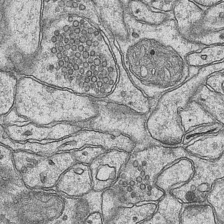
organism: Mouse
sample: CA1 Hippocampus